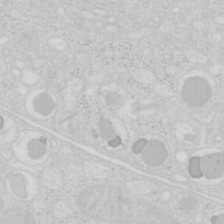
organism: Mouse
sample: Pancreas